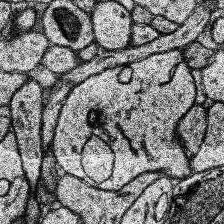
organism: Human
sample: Temporal Lobe